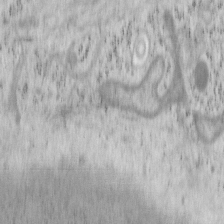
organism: Human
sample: HeLa cells